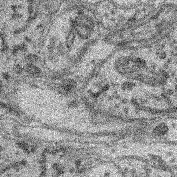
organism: Mouse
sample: Retina